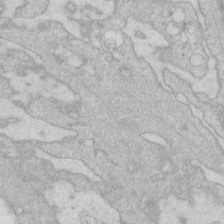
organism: Human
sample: Fibroblast cells